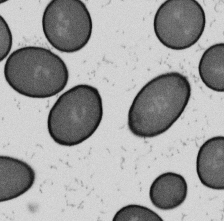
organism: B. subtilis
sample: Bacterial spore